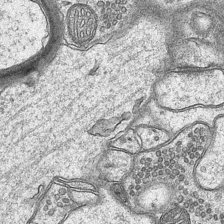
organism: Mouse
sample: CA1 Hippocampus